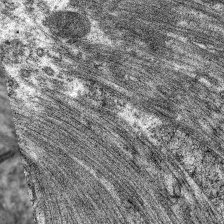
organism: C. elegans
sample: Pharynx